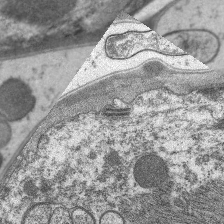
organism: C. elegans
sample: Pharynx